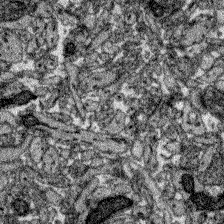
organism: Zebrafish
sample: Larval olfactory bulb